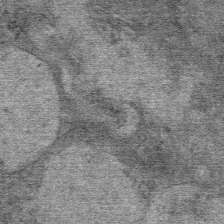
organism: Mouse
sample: Mouse Salivary gland